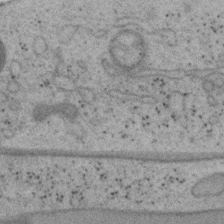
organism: Human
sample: HeLa cells